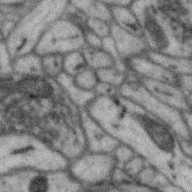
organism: Zebra finch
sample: Brain